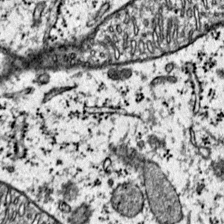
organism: Mouse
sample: Primary visual cortex